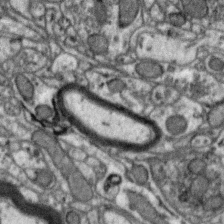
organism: Zebra finch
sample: Brain